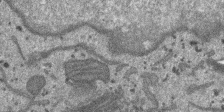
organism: Human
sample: Lung epithelial cells infected with SARS-CoV-2